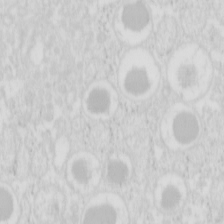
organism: Mouse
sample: Pancreas